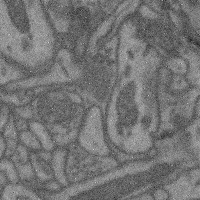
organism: Mouse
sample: Cerebral cortex